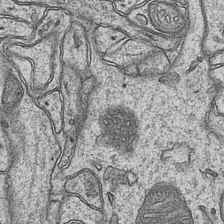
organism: Mouse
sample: CA1 Hippocampus